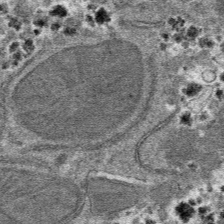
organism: Mouse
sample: Mouse hepatocytes